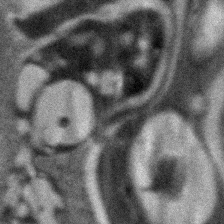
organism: Zebrafish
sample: Zebrafish embryo